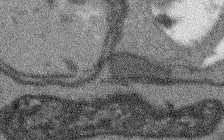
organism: Arabidopsis thaliana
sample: Root tip